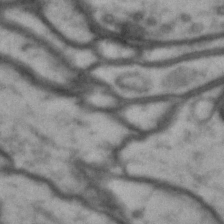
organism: Drosophila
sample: Brain